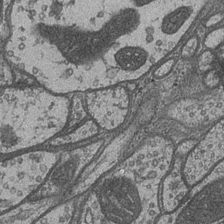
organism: Drosophila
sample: Optic medulla